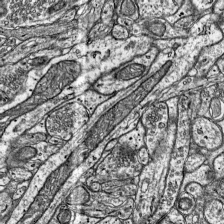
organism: Mouse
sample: Visual Cortex